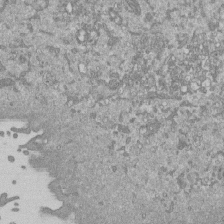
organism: Mouse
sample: ED-1 cell nuclei; centrioles